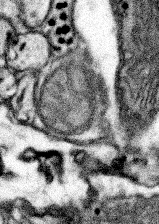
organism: Mouse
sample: Somatosensory cortex neuropil